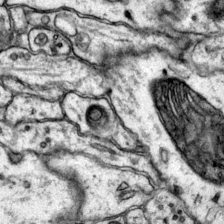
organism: Mouse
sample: Primary visual cortex